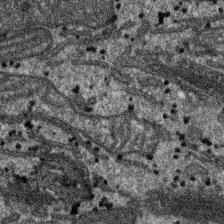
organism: Human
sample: Lung epithelial cells infected with SARS-CoV-2